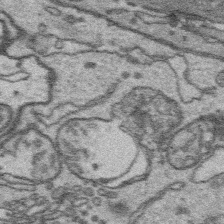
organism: Platynereis dumerilii